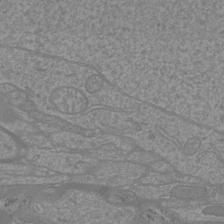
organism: Mouse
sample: Cortical neurons